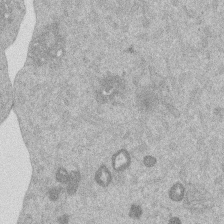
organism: Mouse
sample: Dividing mouse embryo 1 cell stage